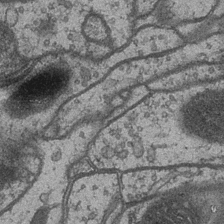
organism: Drosophila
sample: Optic medulla